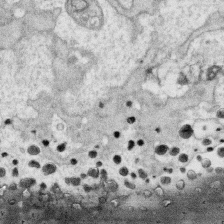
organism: Human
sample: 1205lu cells